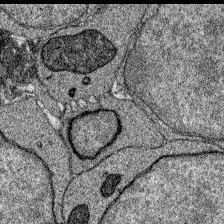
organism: Zebrafish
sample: Larval olfactory bulb